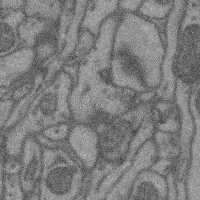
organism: Mouse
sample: Cerebral cortex